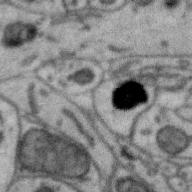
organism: Zebra finch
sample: Brain